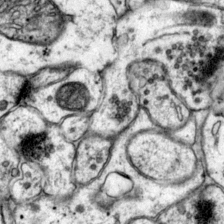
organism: Mouse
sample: Primary visual cortex